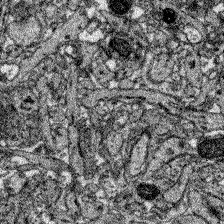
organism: Zebrafish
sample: Larval olfactory bulb